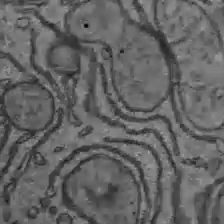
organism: C57BL Mouse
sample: Liver